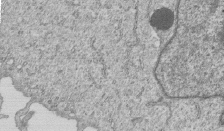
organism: Human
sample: MDA-MB-231 cells